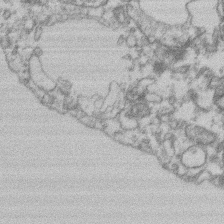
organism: Mouse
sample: T cell stromal cell synapse